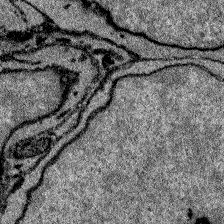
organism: Zebrafish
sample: Larval olfactory bulb